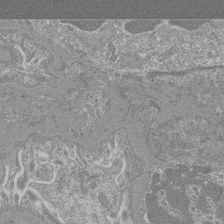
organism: Mouse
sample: Glomerulus